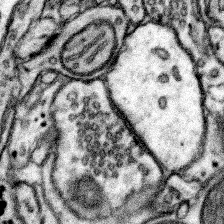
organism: Mouse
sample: Somatosensory cortex neuropil